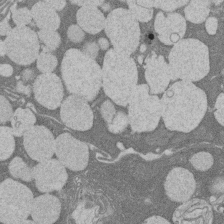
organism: Rat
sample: Salivary granule